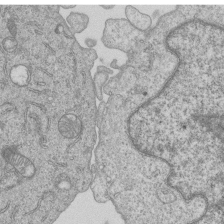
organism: Human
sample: MDA-MB-231 cells